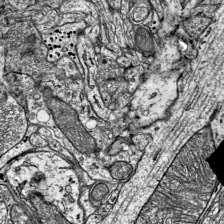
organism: Mouse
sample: Visual Cortex